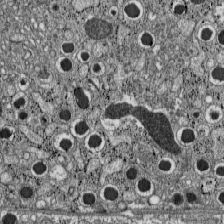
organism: C57BL Mouse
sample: Pancreatic islet